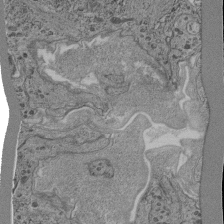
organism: C. elegans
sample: C. elegans pharynx